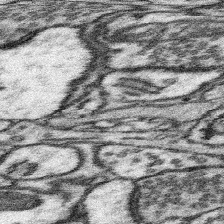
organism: Mouse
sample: Somatosensory cortex neuropil